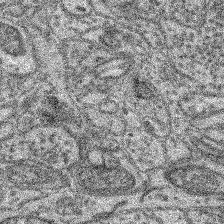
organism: Mouse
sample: Retina